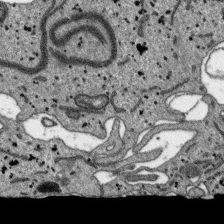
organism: Human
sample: Lung epithelial cells, uninfected (mock) control